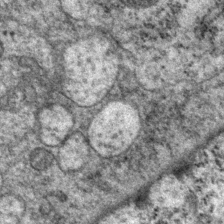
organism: P. pacificus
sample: Pharynx